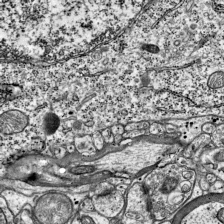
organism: Mouse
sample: Visual Cortex